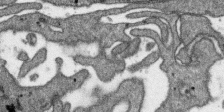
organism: Human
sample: Lung epithelial cells, uninfected (mock) control